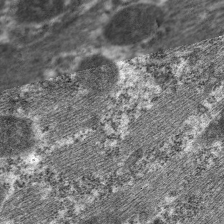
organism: C. elegans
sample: Pharynx